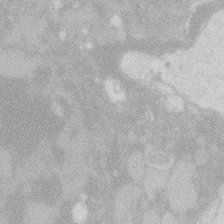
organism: Zebrafish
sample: Macrophage